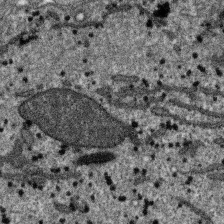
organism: Human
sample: Lung epithelial cells infected with SARS-CoV-2